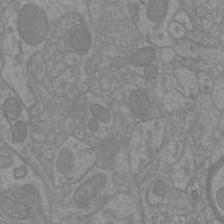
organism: Mouse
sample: Cortical neurons